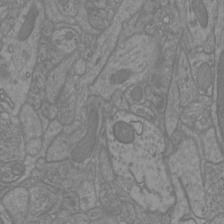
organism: Mouse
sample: Cortical neurons